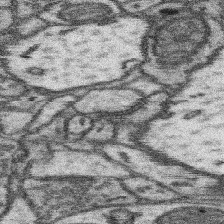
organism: Mouse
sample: Somatosensory cortex neuropil